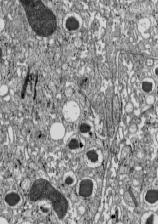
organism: C57BL Mouse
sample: Pancreatic islet